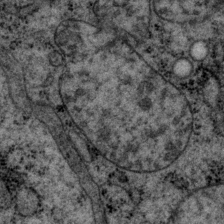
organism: P. pacificus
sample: Pharynx